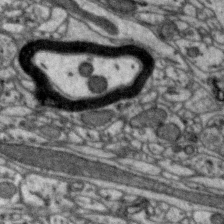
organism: Zebra finch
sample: Brain